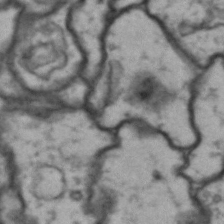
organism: Drosophila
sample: Brain